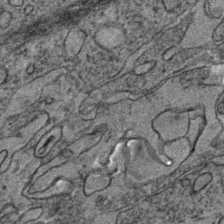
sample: Trachea